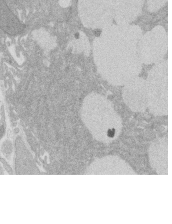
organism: Rat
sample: Salivary granule